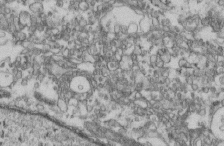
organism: Mouse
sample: Cilia; retinal pigment epithelium